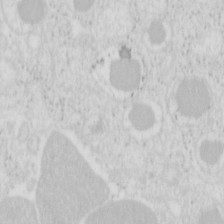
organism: Mouse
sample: Pancreas